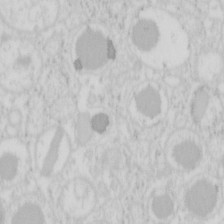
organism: Mouse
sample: Pancreas